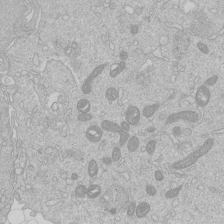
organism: Human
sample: Macrophage cells